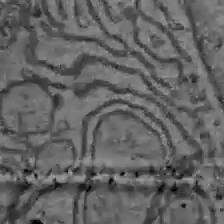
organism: C57BL Mouse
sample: Liver